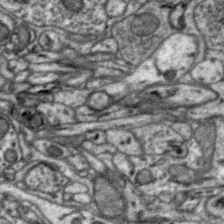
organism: Zebra finch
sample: Brain